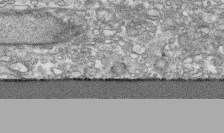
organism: Human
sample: CRL-1474